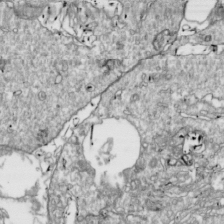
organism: Drosophila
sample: Cell division; meiosis; drosophila spermatocytes